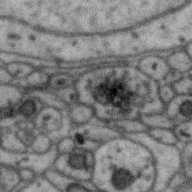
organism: Zebra finch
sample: Brain